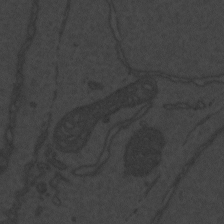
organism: Zebrafish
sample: Macrophage infected with Toxoplasma gondii